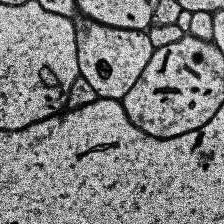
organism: Human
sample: Temporal Lobe